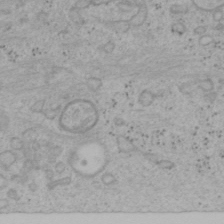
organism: Human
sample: HeLa cells